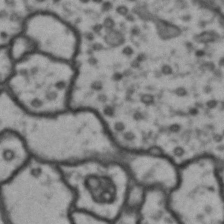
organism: Drosophila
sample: Brain